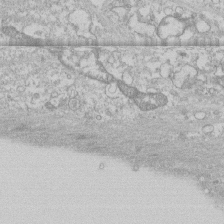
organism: Human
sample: CRL-1474